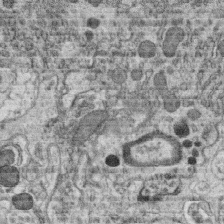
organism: C. elegans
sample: C. elegans oocyte; sperm cells